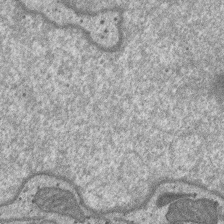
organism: Human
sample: Lung epithelial cells infected with SARS-CoV-2